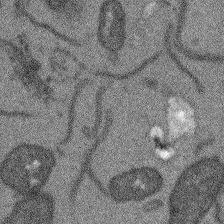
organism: Arabidopsis thaliana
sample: Root tip